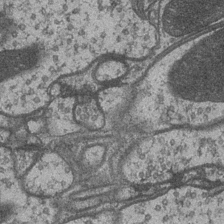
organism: Drosophila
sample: Optic medulla